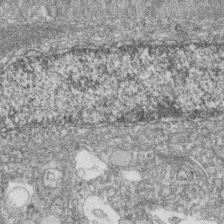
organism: Zebrafish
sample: Cilia; retinal pigment epithelium